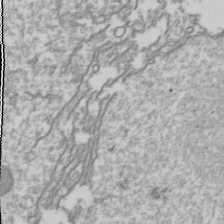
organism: Drosophila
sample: Cell division; meiosis; drosophila spermatocytes